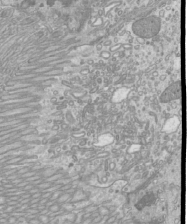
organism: Mouse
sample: Cilia; mouse epididymis